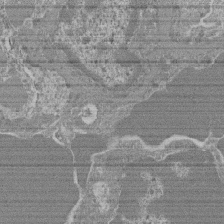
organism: Mouse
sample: Glomerulus